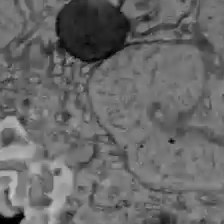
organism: C57BL Mouse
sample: Liver